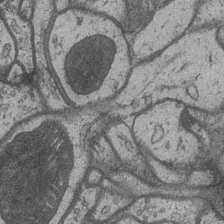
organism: Drosophila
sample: Optic medulla